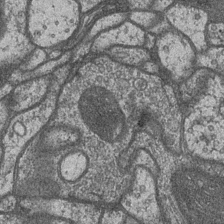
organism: Drosophila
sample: Optic medulla